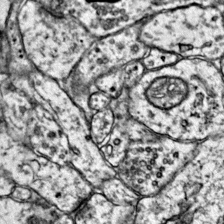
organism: Mouse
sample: Primary visual cortex